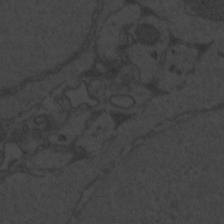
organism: Zebrafish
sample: Macrophage infected with Toxoplasma gondii